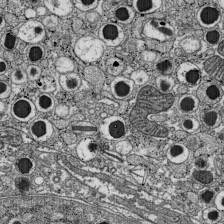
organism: C57BL Mouse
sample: Pancreatic islet